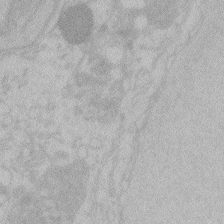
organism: Zebrafish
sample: Macrophage infected with Toxoplasma gondii